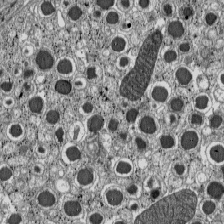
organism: C57BL Mouse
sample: Pancreatic islet